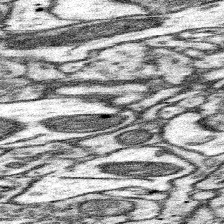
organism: Mouse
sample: Somatosensory cortex neuropil